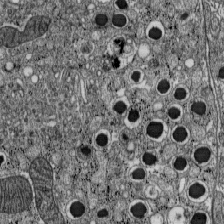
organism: C57BL Mouse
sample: Pancreatic islet